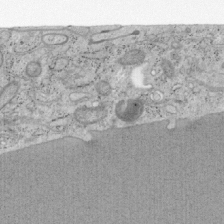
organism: Human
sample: HeLa cells